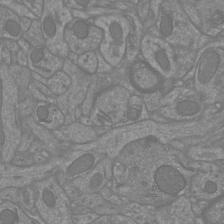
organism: Mouse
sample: Cortical neurons